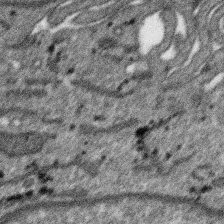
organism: Human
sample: Lung epithelial cells infected with SARS-CoV-2